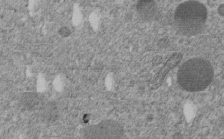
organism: C. elegans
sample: C. elegans embryo early stage